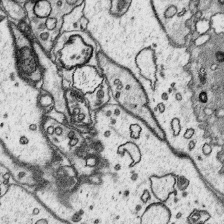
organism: Platynereis dumerilii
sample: Parapodia